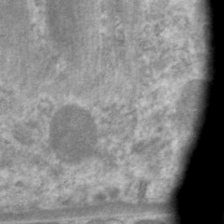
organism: C. elegans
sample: Pharynx